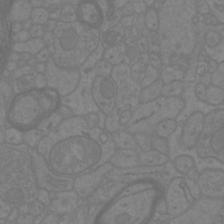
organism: Mouse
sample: Cortical neurons